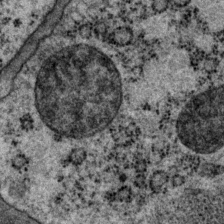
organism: P. pacificus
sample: Pharynx